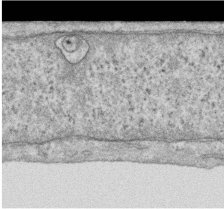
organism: Human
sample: Centriole in RPE cells